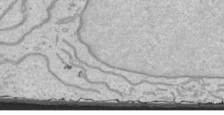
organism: Human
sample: Mitochondria in HCT116 cells